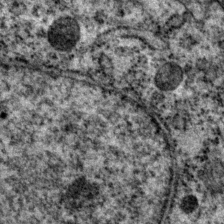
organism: P. pacificus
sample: Pharynx